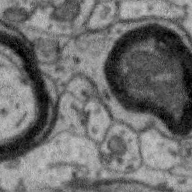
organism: Zebra finch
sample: Brain